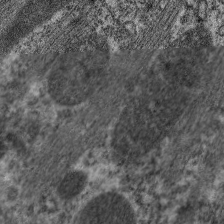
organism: C. elegans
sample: Pharynx